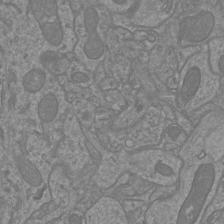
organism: Mouse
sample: Cortical neurons